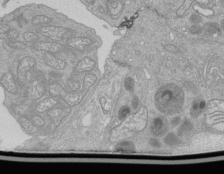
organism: Human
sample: Retinal organoid Rod and Cone cells